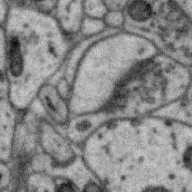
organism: Zebra finch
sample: Brain